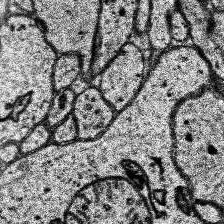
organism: Human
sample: Temporal Lobe